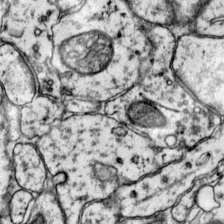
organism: Mouse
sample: Primary visual cortex